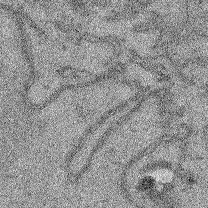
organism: Human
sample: HeLa cells